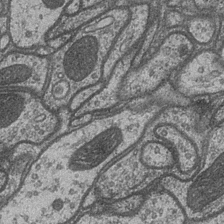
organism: Drosophila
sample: Optic medulla